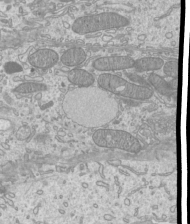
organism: Mouse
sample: Cilia; mouse epididymis